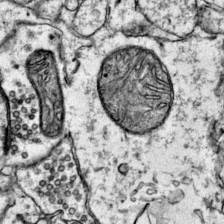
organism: Mouse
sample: Primary visual cortex